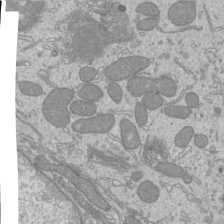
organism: Mouse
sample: Cilia; mouse epididymis